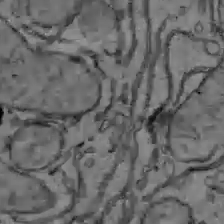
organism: C57BL Mouse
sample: Liver